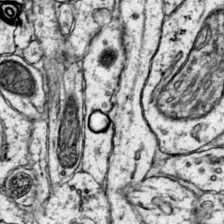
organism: Mouse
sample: Primary visual cortex